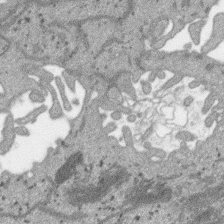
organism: Human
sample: Lung epithelial cells infected with SARS-CoV-2